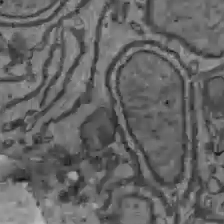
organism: C57BL Mouse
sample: Liver